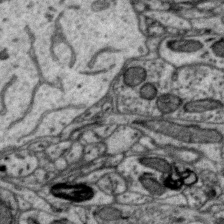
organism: Zebra finch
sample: Brain